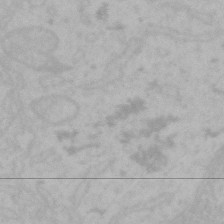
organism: Mouse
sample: Choroid plexus